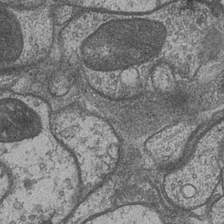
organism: Drosophila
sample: Optic medulla